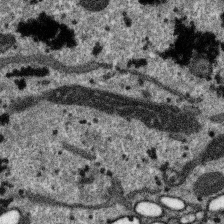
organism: Human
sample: Lung epithelial cells infected with SARS-CoV-2